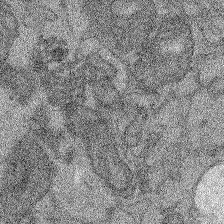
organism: Human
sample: HeLa cells